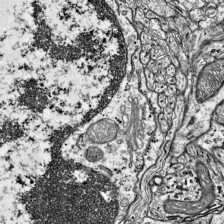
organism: Mouse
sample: Visual Cortex